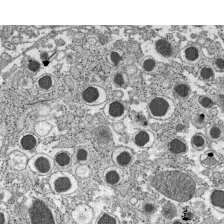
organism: C57BL Mouse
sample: Pancreatic islet